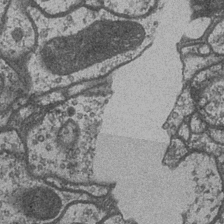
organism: Drosophila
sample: Optic medulla